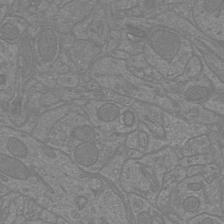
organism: Mouse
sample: Cortical neurons